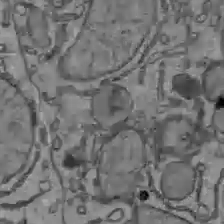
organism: C57BL Mouse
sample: Liver